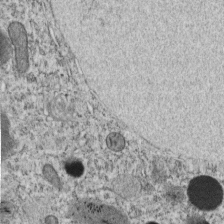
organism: C. elegans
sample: C. elegans embryo early stage